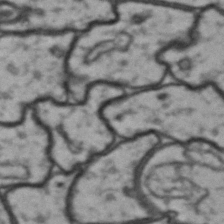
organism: Drosophila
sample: Brain